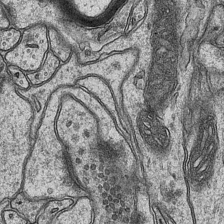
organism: Mouse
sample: CA1 Hippocampus